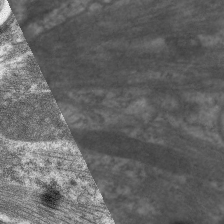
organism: C. elegans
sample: Pharynx